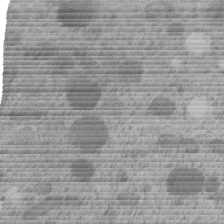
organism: C. elegans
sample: C. elegans embryo early stage